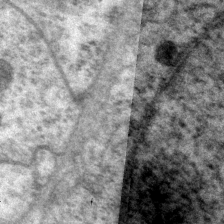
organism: P. pacificus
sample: Pharynx